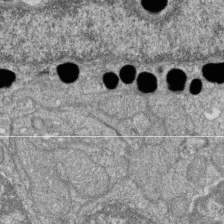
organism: Zebrafish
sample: Cilia; retinal pigment epithelium